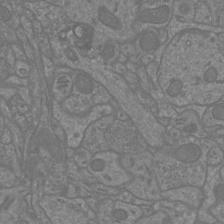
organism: Mouse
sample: Cortical neurons